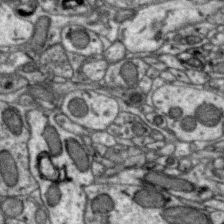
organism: Zebra finch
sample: Brain